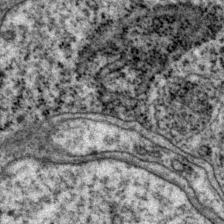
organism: P. pacificus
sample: Pharynx